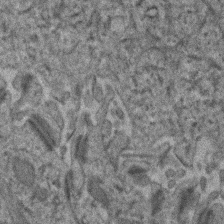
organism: Human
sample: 1205lu cells